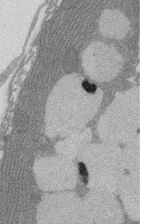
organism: Rat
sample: Salivary granule